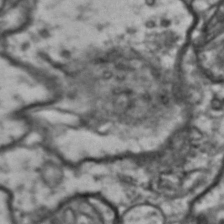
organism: Drosophila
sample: Brain